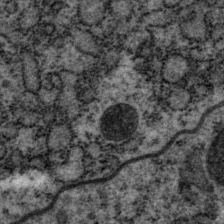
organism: P. pacificus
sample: Pharynx